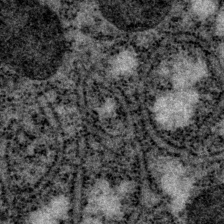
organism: P. pacificus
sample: Pharynx